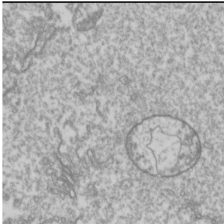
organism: Drosophila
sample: Cell division; meiosis; drosophila spermatocytes